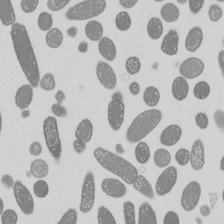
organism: E. coli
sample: Bacterial nucleoid